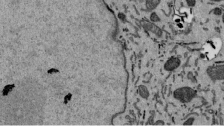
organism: Mouse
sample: ED-1 cell nuclei; centrioles